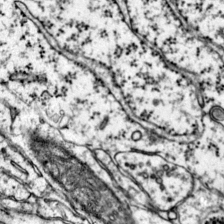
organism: Mouse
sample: Primary visual cortex